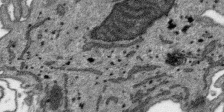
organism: Human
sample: Lung epithelial cells, uninfected (mock) control